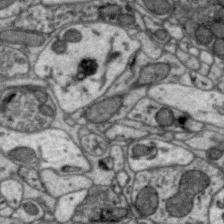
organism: Zebra finch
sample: Brain